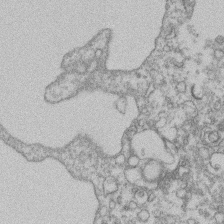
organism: Mouse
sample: T cell stromal cell synapse